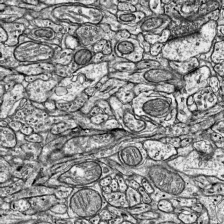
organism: Mouse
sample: Visual Cortex